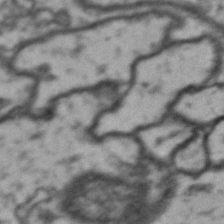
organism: Drosophila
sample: Brain